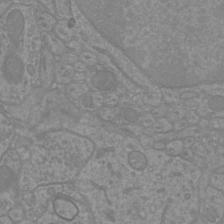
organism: Mouse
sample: Cortical neurons